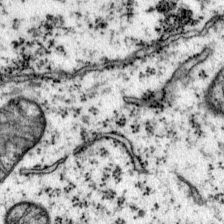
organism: Mouse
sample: Primary visual cortex